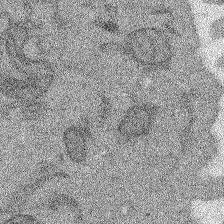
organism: Human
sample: HeLa cells